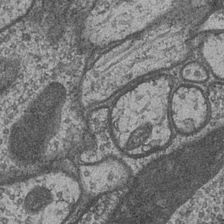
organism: Drosophila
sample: Optic medulla